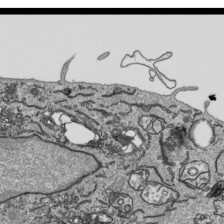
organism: Human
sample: Mitochondria in HCT116 cells